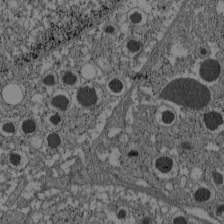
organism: C57BL Mouse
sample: Pancreatic islet